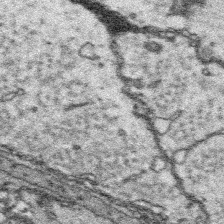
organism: Platynereis dumerilii